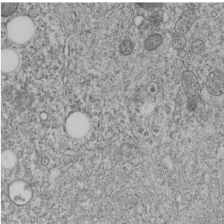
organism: C. elegans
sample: C. elegans embryo early stage